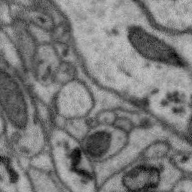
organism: Zebra finch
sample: Brain